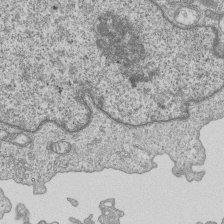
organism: Human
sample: MDA-MB-231 cells